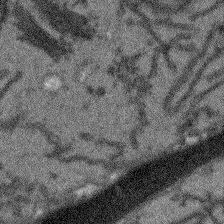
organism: Arabidopsis thaliana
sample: Root tip